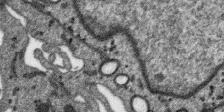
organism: Human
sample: Lung epithelial cells infected with SARS-CoV-2